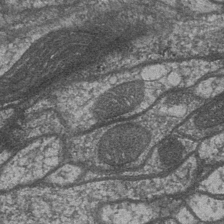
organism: Drosophila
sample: Optic medulla